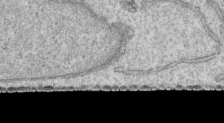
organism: Human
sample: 1205lu cells